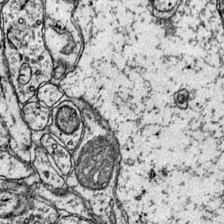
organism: Mouse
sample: Primary visual cortex